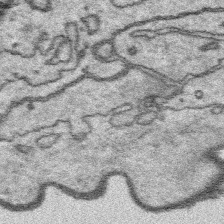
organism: Platynereis dumerilii